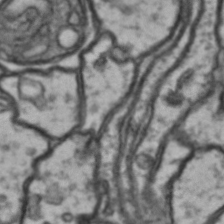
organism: Drosophila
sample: Brain